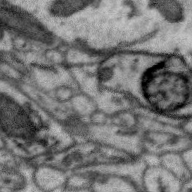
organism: Zebra finch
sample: Brain